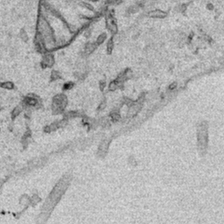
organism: Human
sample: Mitochondria in HCT116 cells